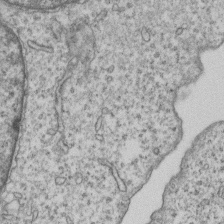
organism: Human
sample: MDA-MB-231 cells